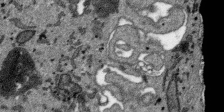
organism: Human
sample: Lung epithelial cells, uninfected (mock) control